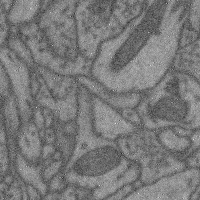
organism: Mouse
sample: Cerebral cortex